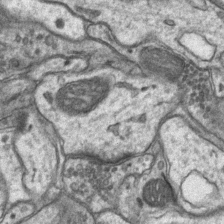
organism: Mouse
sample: CA1 Hippocampus